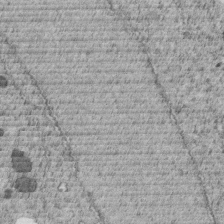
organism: C. elegans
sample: C. elegans embryo early stage